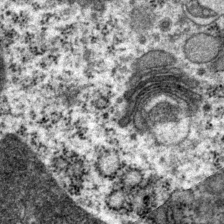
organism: P. pacificus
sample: Pharynx